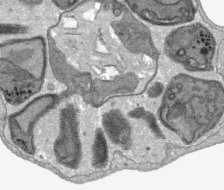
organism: Plasmodium falciparum